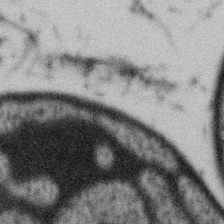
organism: Gemmata obscuriglobus